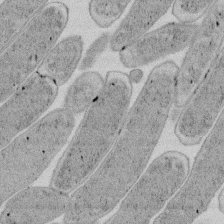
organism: E. coli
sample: Bacterial nucleoid